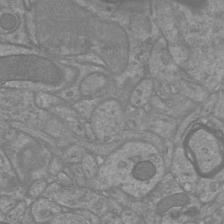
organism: Mouse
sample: Cortical neurons